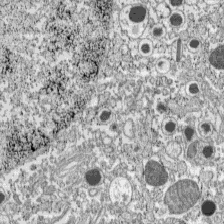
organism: C57BL Mouse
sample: Pancreatic islet